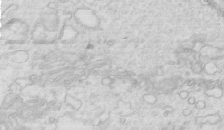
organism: Mouse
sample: Multiciliated cells